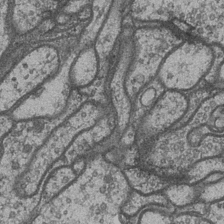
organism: Drosophila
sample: Optic medulla